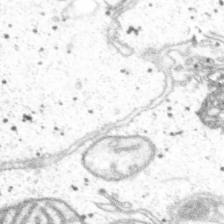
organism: Human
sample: HeLa cells